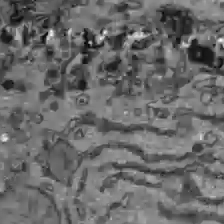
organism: C57BL Mouse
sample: Liver